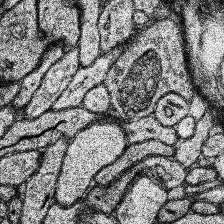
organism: Human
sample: Temporal Lobe